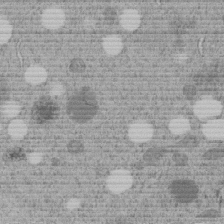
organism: C. elegans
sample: C. elegans embryo early stage